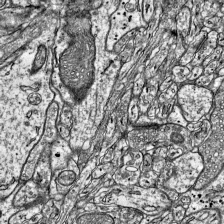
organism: Mouse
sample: Visual Cortex